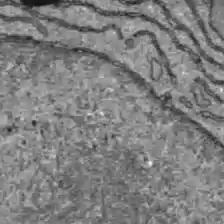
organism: C57BL Mouse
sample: Liver